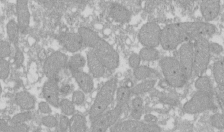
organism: Xenopus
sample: Cilia; centrioles in frog embryo cells